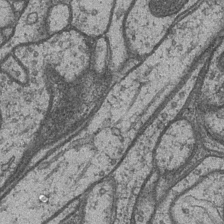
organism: Drosophila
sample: Optic medulla